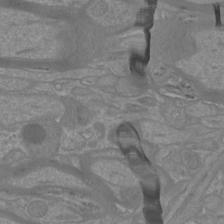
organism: Mouse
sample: Cortical neurons